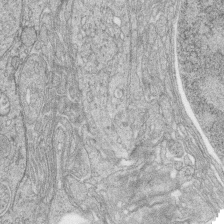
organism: Zebrafish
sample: synaptic ribbons in rod cells and cone cells